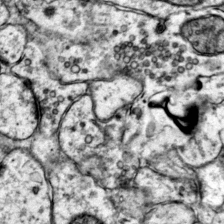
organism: Mouse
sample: Primary visual cortex